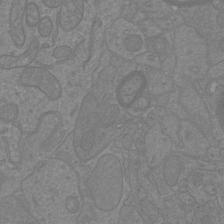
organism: Mouse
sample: Cortical neurons